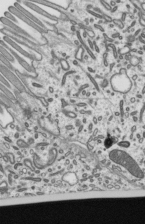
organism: Mouse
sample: Mouse epididymis efferent ductule cilia